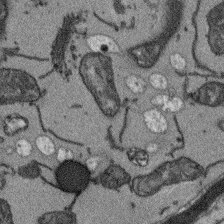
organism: Arabidopsis thaliana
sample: Root tip